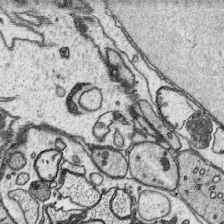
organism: Platynereis dumerilii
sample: Parapodia